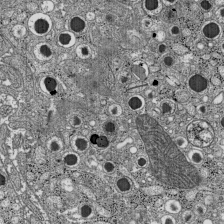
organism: C57BL Mouse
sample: Pancreatic islet